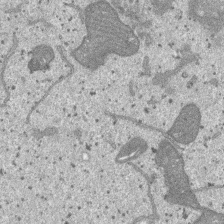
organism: Human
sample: Lung epithelial cells infected with SARS-CoV-2